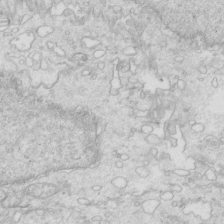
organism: Mouse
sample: Multiciliated cells